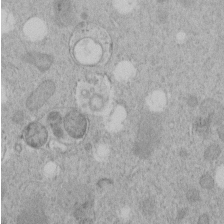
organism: C. elegans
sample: C. elegans embryo early stage